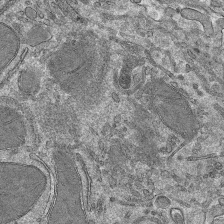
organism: Mouse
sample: Mouse hepatocytes